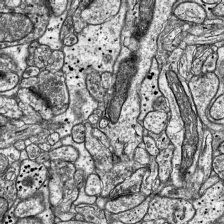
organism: Mouse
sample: Visual Cortex